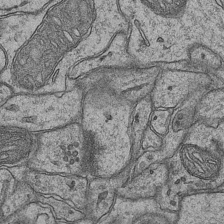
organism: Mouse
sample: CA1 Hippocampus